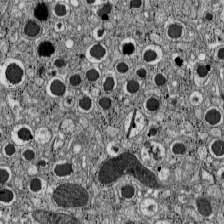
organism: C57BL Mouse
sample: Pancreatic islet